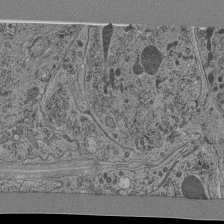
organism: C. elegans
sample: C. elegans pharynx